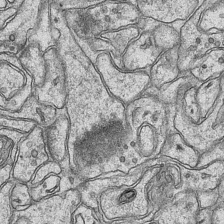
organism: Mouse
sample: CA1 Hippocampus